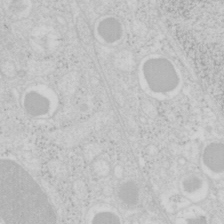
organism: Mouse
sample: Pancreas